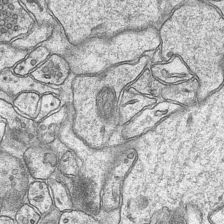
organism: Mouse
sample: CA1 Hippocampus